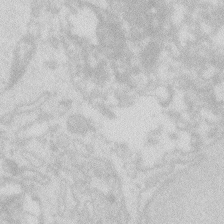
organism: Zebrafish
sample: Macrophage